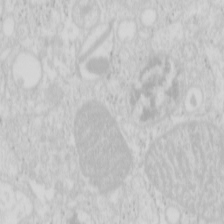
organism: Mouse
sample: Pancreas